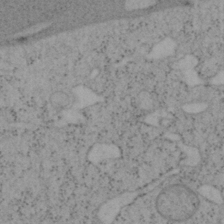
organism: Mouse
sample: OT-I killer T cells with ID8 ovarian cancer cells